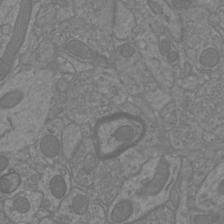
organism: Mouse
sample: Cortical neurons